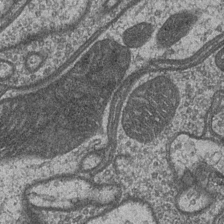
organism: Drosophila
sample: Optic medulla